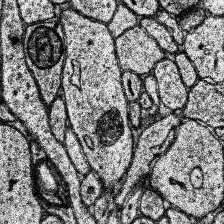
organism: Human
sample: Temporal Lobe